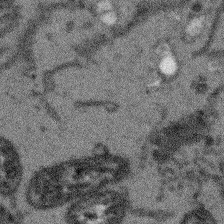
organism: Arabidopsis thaliana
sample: Root tip